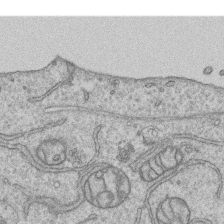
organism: Human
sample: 1205lu cells